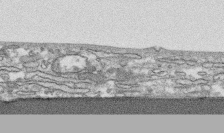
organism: Human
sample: CRL-1474